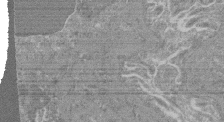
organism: Mouse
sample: Glomerulus